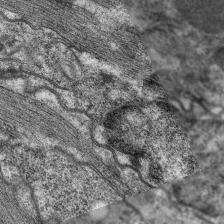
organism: C. elegans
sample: Pharynx